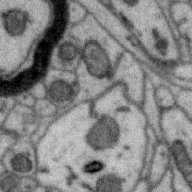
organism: Zebra finch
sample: Brain